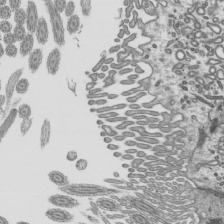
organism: Mouse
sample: Mouse epididymis efferent ductule cilia